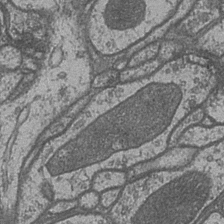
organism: Drosophila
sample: Optic medulla